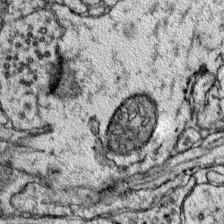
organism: Mouse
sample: Primary visual cortex